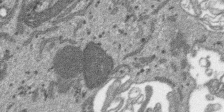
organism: Human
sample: Lung epithelial cells infected with SARS-CoV-2